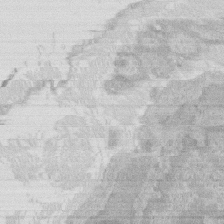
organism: Rat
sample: Salivary granule